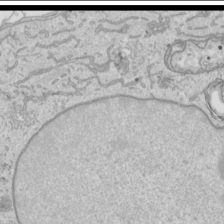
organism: Human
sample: Mitochondria in HCT116 cells